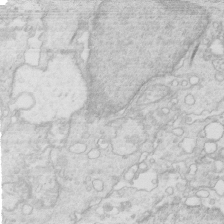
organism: Mouse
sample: Multiciliated cells